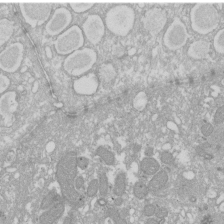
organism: Xenopus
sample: Cilia; centrioles in frog embryo cells